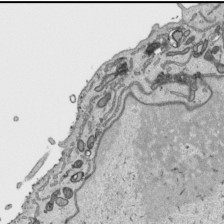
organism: Human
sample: Mitochondria in HCT116 cells